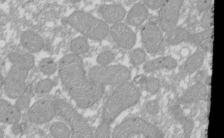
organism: Xenopus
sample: Cilia; centrioles in frog embryo cells